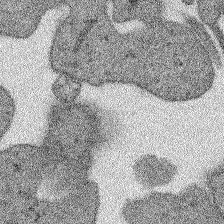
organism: Human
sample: HeLa cells